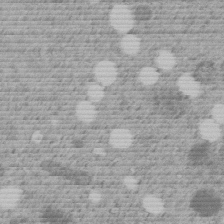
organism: C. elegans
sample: C. elegans embryo early stage